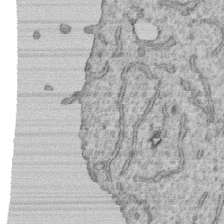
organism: Human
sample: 1205lu cells